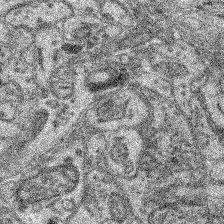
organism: Mouse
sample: Retina